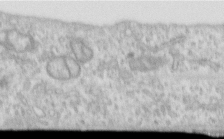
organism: Human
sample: Centriole in RPE cells